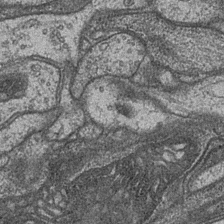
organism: Drosophila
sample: Optic medulla